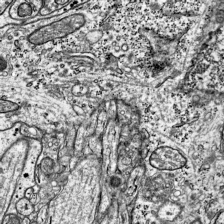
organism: Mouse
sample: Visual Cortex